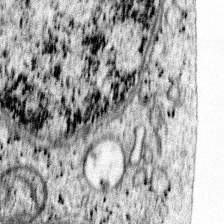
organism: Human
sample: HeLa cells